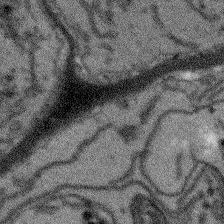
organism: Arabidopsis thaliana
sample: Root tip